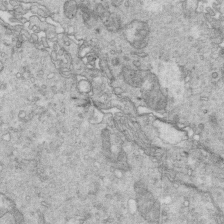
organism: Mouse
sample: Multiciliated cells